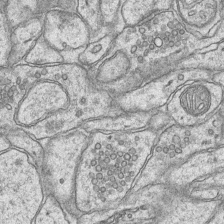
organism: Mouse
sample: CA1 Hippocampus